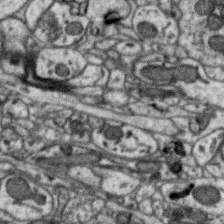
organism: Zebra finch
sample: Brain